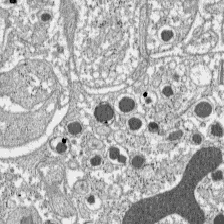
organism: C57BL Mouse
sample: Pancreatic islet